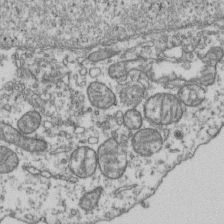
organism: Human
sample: Activated Jurkat CD4+ T cells